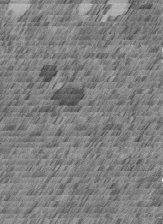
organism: C. elegans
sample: C. elegans embryo early stage